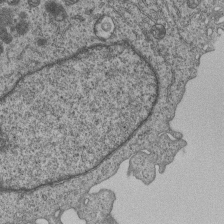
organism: Human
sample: MDA-MB-231 cells